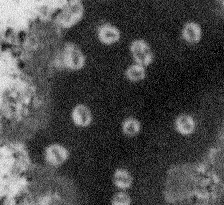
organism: Arabidopsis thaliana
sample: Root tip